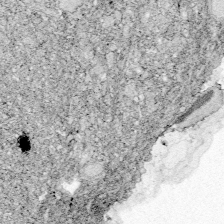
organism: Zebrafish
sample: Whole-Brain